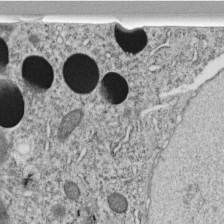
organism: C. elegans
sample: C. elegans embryo early stage